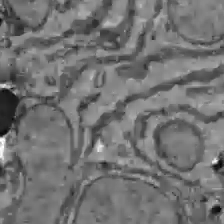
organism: C57BL Mouse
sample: Liver